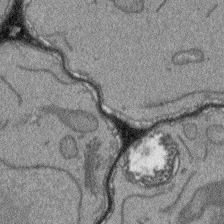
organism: Arabidopsis thaliana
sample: Root tip